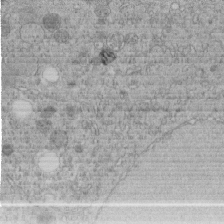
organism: C. elegans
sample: C. elegans embryo early stage